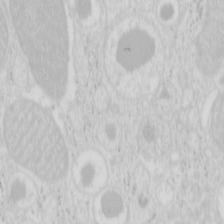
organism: Mouse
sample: Pancreas